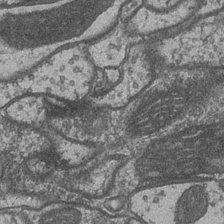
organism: Drosophila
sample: Optic medulla